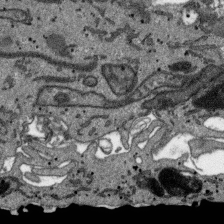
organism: Human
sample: Lung epithelial cells, uninfected (mock) control